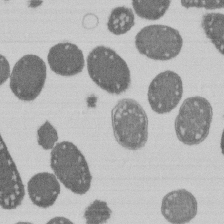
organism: E. coli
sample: Bacterial nucleoid